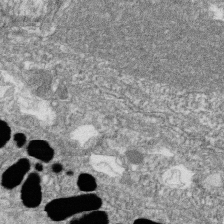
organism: Zebrafish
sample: Cilia; retinal pigment epithelium